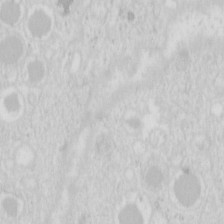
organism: Mouse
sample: Pancreas